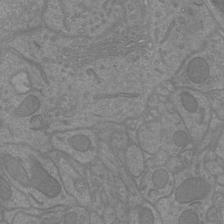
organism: Mouse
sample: Cortical neurons